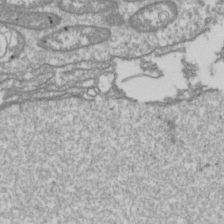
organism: Drosophila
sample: Cell division; meiosis; drosophila spermatocytes